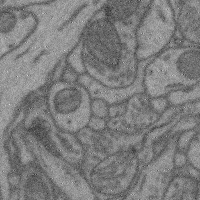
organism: Mouse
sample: Cerebral cortex